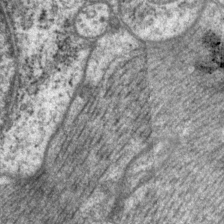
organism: P. pacificus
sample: Pharynx